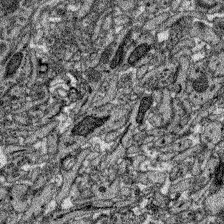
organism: Zebrafish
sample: Larval olfactory bulb